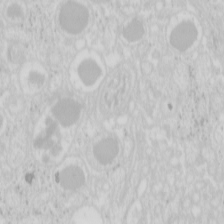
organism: Mouse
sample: Pancreas